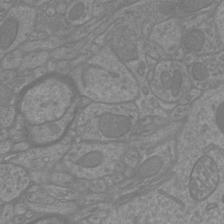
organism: Mouse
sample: Cortical neurons